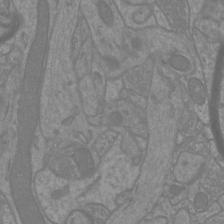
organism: Mouse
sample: Cortical neurons